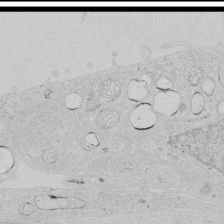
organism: Human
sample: Mitochondria in HCT116 cells